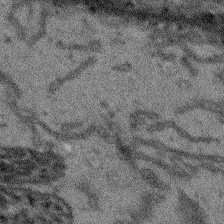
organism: Arabidopsis thaliana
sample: Root tip